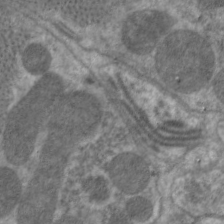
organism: C. elegans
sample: Pharynx